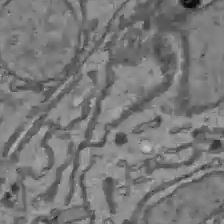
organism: C57BL Mouse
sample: Liver